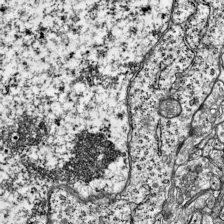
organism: Mouse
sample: Visual Cortex